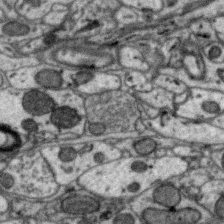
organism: Zebra finch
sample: Brain